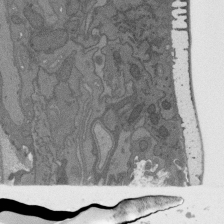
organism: C. elegans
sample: AFD neurons C. elegans